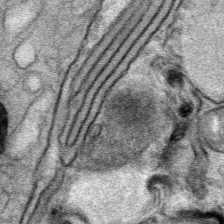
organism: Mouse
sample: Mouse Salivary gland